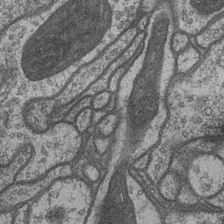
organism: Drosophila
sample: Optic medulla